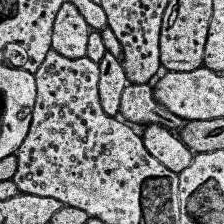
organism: Human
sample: Temporal Lobe